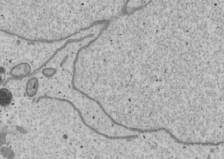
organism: Human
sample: Mitochondria in U2OS cells